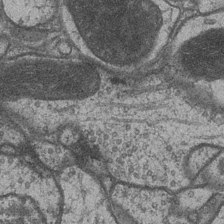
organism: Drosophila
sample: Optic medulla